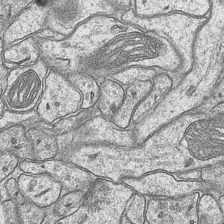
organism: Mouse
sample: CA1 Hippocampus